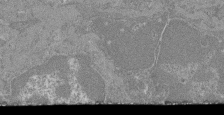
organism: Mouse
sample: Glomerulus